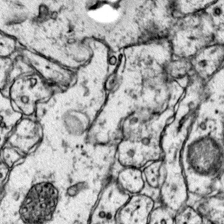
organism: Mouse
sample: Primary visual cortex